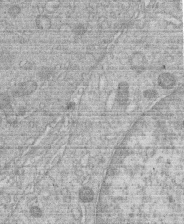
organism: Human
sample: Macrophage cells